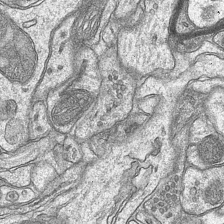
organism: Mouse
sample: CA1 Hippocampus